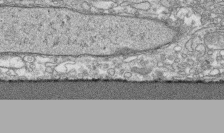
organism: Human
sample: CRL-1474